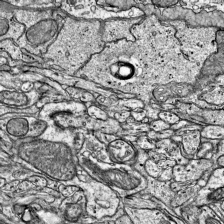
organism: Mouse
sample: Visual Cortex